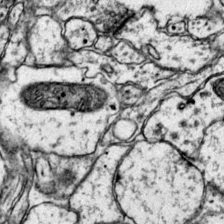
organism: Mouse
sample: Primary visual cortex